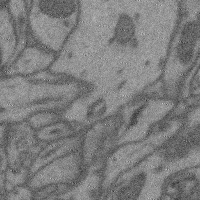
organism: Mouse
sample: Cerebral cortex